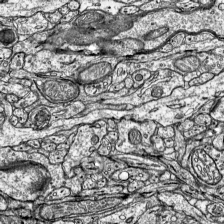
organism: Mouse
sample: Visual Cortex